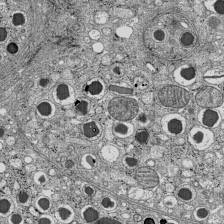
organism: C57BL Mouse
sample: Pancreatic islet